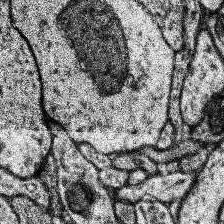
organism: Human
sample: Temporal Lobe